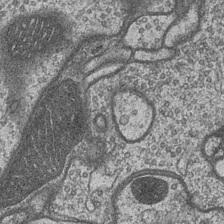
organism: Drosophila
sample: Optic medulla